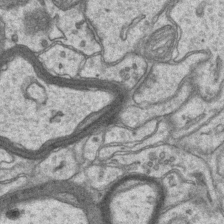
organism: Mouse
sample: CA1 Hippocampus